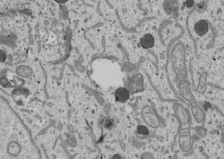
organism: Human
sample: Mitochondria in U2OS cells